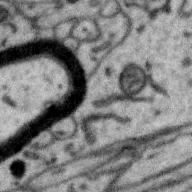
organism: Zebra finch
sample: Brain